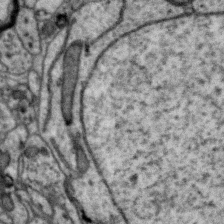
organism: Zebra finch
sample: Brain